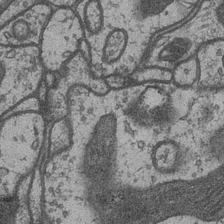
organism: Drosophila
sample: Optic medulla